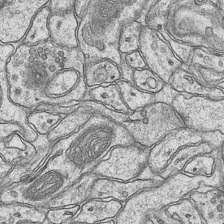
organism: Mouse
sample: CA1 Hippocampus